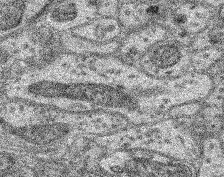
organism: Mouse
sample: Retina